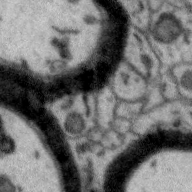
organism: Zebra finch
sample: Brain